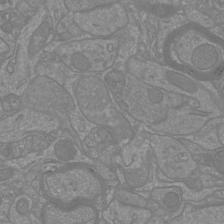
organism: Mouse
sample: Cortical neurons